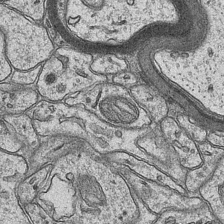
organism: Mouse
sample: CA1 Hippocampus